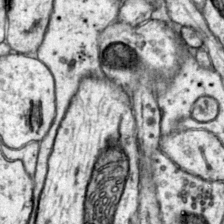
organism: Mouse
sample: Primary visual cortex